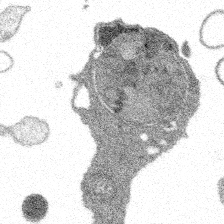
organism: Spongilla lacustris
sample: Multiple